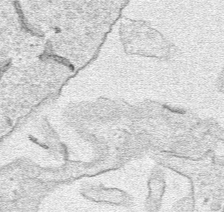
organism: Human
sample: Mitochondria in HCT116 cells